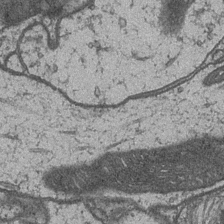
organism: Drosophila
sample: Optic medulla